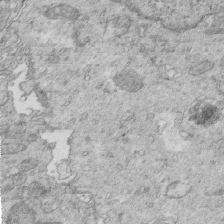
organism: Mouse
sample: Multiciliated cells